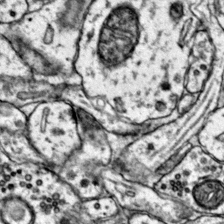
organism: Mouse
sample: Primary visual cortex